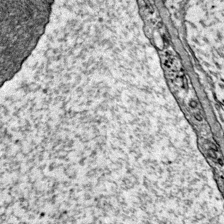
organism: Mouse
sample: Primary visual cortex